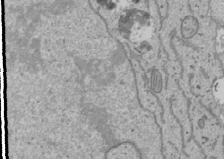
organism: Human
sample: Mitochondria in U2OS cells